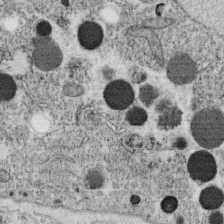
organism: C. elegans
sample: C. elegans oocyte; sperm cells